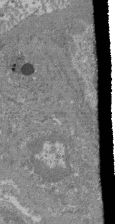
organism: Mouse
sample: Glomerulus